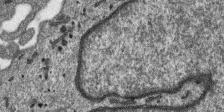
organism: Human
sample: Lung epithelial cells infected with SARS-CoV-2